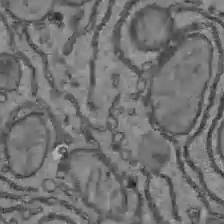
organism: C57BL Mouse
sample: Liver